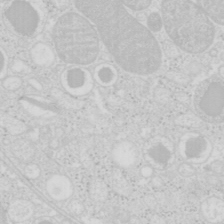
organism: Mouse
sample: Pancreas